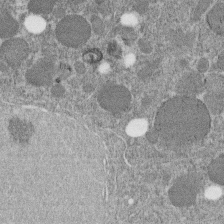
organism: C. elegans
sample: C. elegans embryo early stage